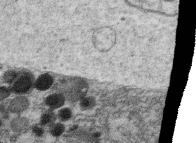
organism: C. elegans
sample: C. elegans oocyte; sperm cells